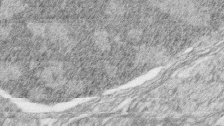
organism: Zebrafish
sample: synaptic ribbons in rod cells and cone cells